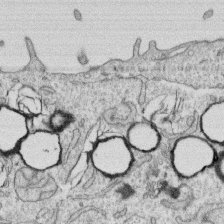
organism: Human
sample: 1205lu cells